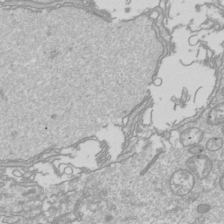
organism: Drosophila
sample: Cell division; meiosis; drosophila spermatocytes